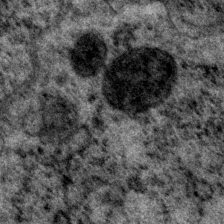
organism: P. pacificus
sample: Pharynx